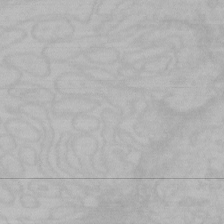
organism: Mouse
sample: Choroid plexus